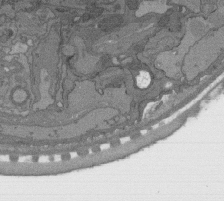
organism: C. elegans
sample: AFD neurons C. elegans